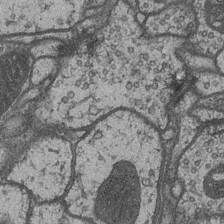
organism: Drosophila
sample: Optic medulla